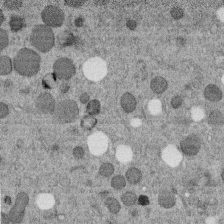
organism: C. elegans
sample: C. elegans embryo early stage